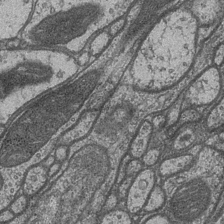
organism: Drosophila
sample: Optic medulla